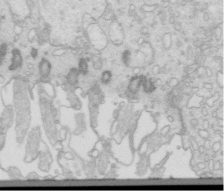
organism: Mouse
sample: Multiciliated cells